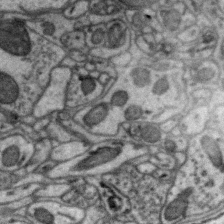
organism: Zebra finch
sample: Brain